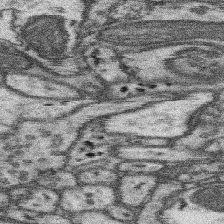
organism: Mouse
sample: Somatosensory cortex neuropil